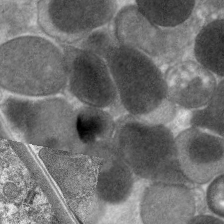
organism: C. elegans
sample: Pharynx